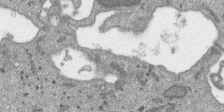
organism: Human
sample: Lung epithelial cells infected with SARS-CoV-2